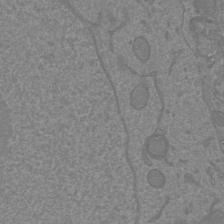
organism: Mouse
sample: Cortical neurons